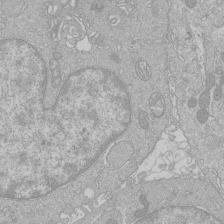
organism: Human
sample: Macrophage cells